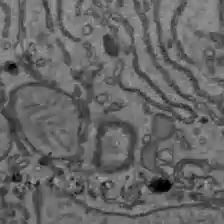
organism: C57BL Mouse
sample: Liver